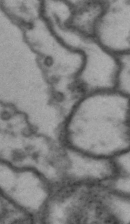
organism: Drosophila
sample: Brain